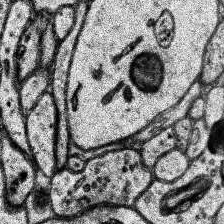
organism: Human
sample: Temporal Lobe